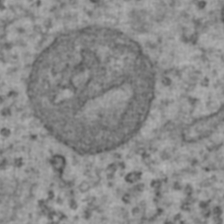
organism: Human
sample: Blood